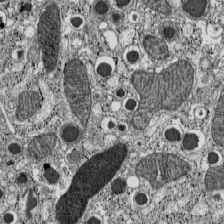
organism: C57BL Mouse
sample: Pancreatic islet